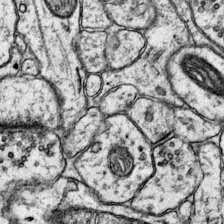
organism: Mouse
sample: Primary visual cortex